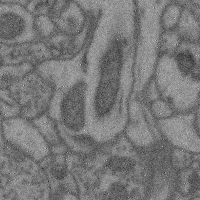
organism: Mouse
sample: Cerebral cortex